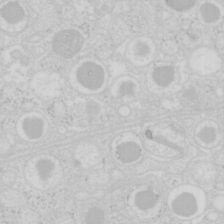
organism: Mouse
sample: Pancreas